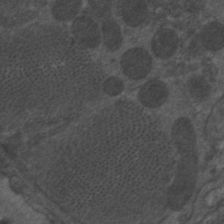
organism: C. elegans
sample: Pharynx